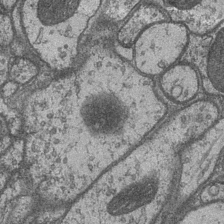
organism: Drosophila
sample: Optic medulla